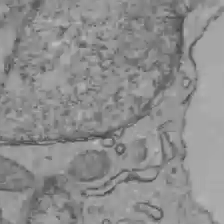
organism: C57BL Mouse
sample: Liver